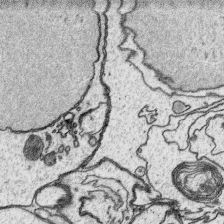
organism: Platynereis dumerilii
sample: Parapodia